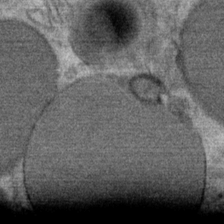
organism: Mouse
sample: Mouse Salivary gland